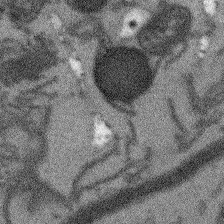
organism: Arabidopsis thaliana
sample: Root tip